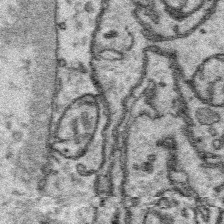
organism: Platynereis dumerilii